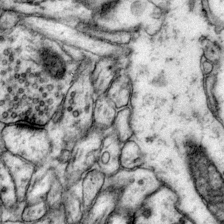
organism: Mouse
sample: Primary visual cortex